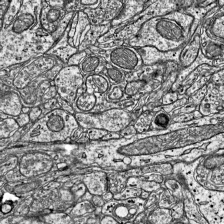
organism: Mouse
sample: Visual Cortex